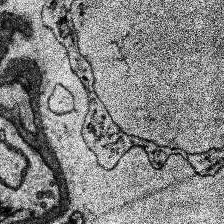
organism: Human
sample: Temporal Lobe